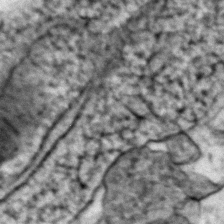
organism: Zebrafish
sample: Zebrafish embryo